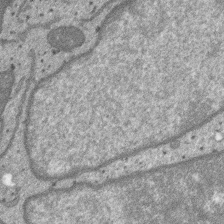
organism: Human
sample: Lung epithelial cells infected with SARS-CoV-2